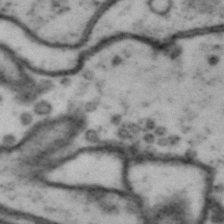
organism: Drosophila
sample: Brain